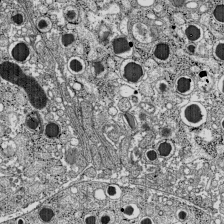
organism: C57BL Mouse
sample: Pancreatic islet